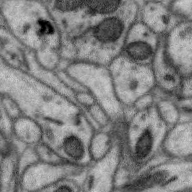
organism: Zebra finch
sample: Brain